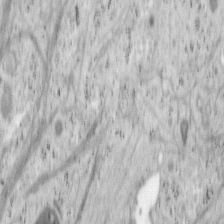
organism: Human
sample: HeLa cells